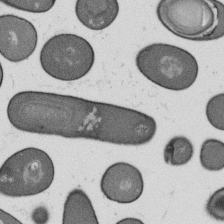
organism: B. subtilis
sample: Bacterial spore